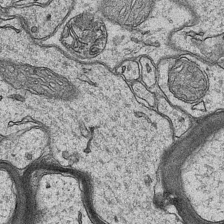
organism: Mouse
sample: CA1 Hippocampus